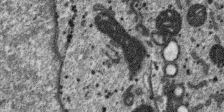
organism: Human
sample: Lung epithelial cells infected with SARS-CoV-2